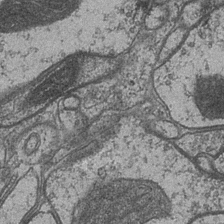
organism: Drosophila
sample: Optic medulla